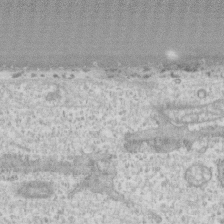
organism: Human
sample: CRL-1474